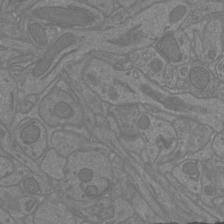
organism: Mouse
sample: Cortical neurons